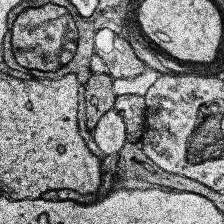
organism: Human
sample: Temporal Lobe